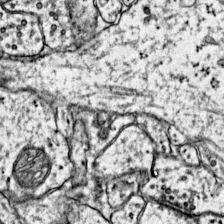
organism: Mouse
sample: Primary visual cortex